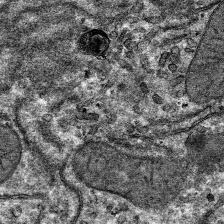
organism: Mouse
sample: Mouse hepatocytes